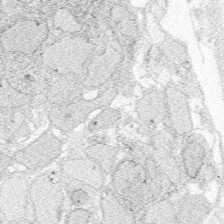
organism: Zebrafish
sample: Whole-Brain